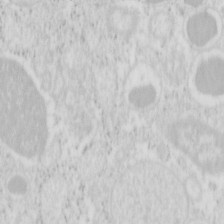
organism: Mouse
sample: Pancreas